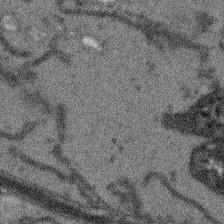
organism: Arabidopsis thaliana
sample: Root tip